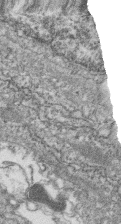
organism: Zebrafish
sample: Cilia; retinal pigment epithelium